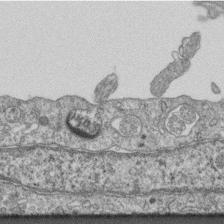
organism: Mouse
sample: Centriole in ependymal cells